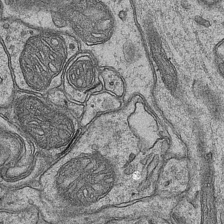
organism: Mouse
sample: CA1 Hippocampus